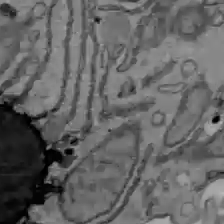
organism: C57BL Mouse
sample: Liver